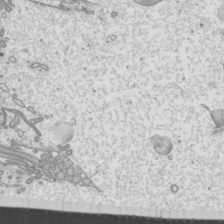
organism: Mouse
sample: Cilia; mouse epididymis